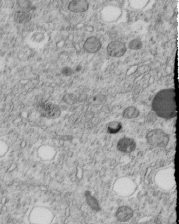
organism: C. elegans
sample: C. elegans embryo early stage